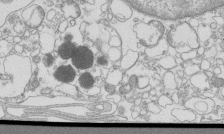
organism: Mouse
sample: Macrophages